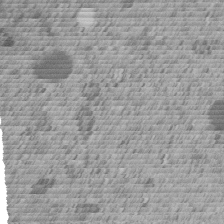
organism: C. elegans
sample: C. elegans embryo early stage